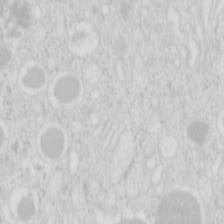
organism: Mouse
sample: Pancreas